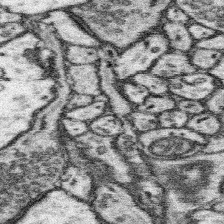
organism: Mouse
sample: Somatosensory cortex neuropil